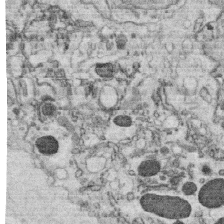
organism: C. elegans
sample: C. elegans oocyte; sperm cells